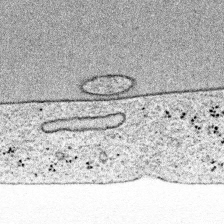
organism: Human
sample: HeLa cells